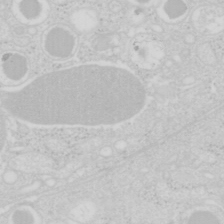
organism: Mouse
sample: Pancreas